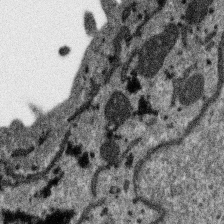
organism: Human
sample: Lung epithelial cells infected with SARS-CoV-2